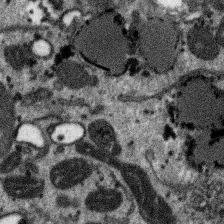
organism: Human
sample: Lung epithelial cells infected with SARS-CoV-2